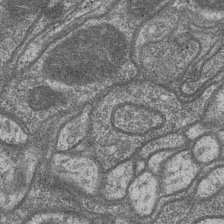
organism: Drosophila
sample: Optic medulla